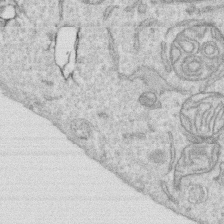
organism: Human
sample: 1205lu cells